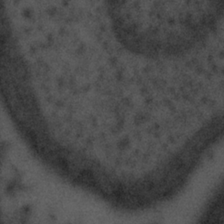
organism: Tuwongella immobilis